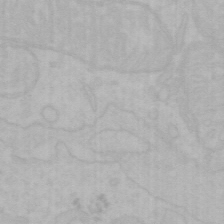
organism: Mouse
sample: Choroid plexus